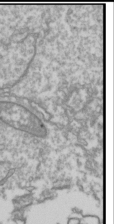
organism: Drosophila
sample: Cell division; meiosis; drosophila spermatocytes